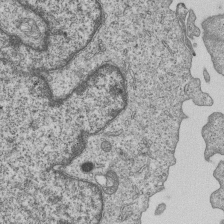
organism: Human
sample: MDA-MB-231 cells